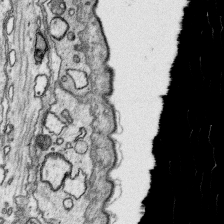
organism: Platynereis dumerilii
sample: Parapodia